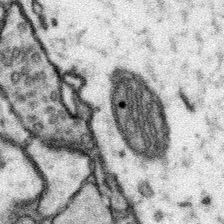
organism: Mouse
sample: Somatosensory cortex neuropil